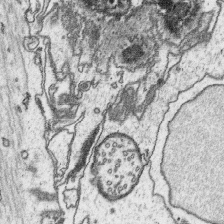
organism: Platynereis dumerilii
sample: Parapodia